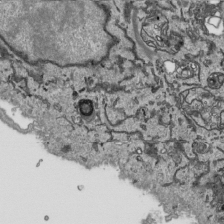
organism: Human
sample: Mitochondria in HCT116 cells